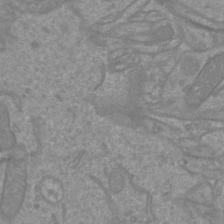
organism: Mouse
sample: Cortical neurons